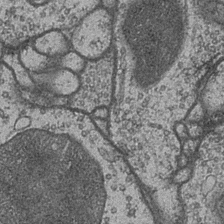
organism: Drosophila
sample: Optic medulla